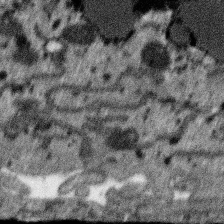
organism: Human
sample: Lung epithelial cells infected with SARS-CoV-2